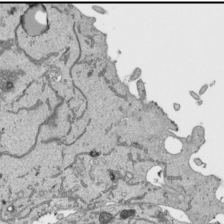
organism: Human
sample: Mitochondria in HCT116 cells